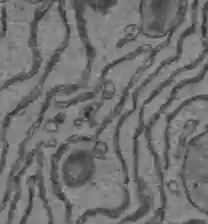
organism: C57BL Mouse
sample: Liver